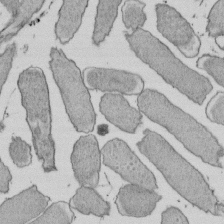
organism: E. coli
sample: Bacterial nucleoid